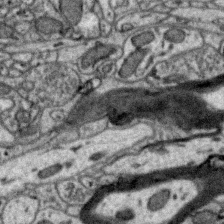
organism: Zebra finch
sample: Brain